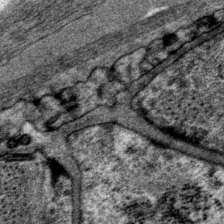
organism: P. pacificus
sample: Pharynx